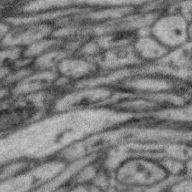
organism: Zebra finch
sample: Brain